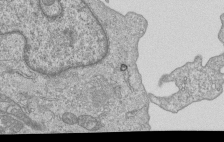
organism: Human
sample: MDA-MB-231 cells